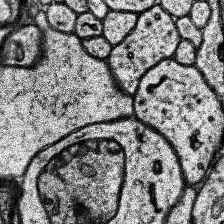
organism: Human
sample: Temporal Lobe